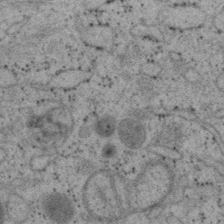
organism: Human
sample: HeLa cells